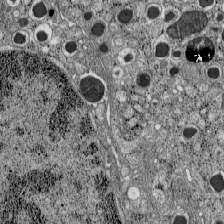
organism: C57BL Mouse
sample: Pancreatic islet